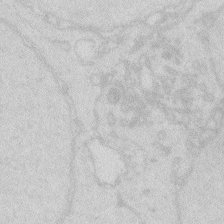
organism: Zebrafish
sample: Macrophage